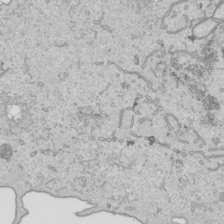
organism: Human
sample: Mitochondria in HCT116 cells